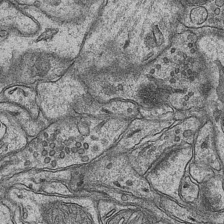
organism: Mouse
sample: CA1 Hippocampus